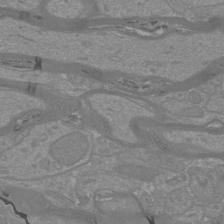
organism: Mouse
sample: Cortical neurons